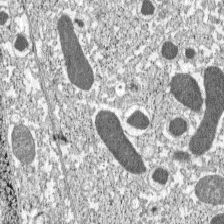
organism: C57BL Mouse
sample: Pancreatic islet